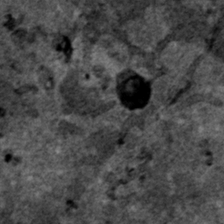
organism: Human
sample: Mitochondria in HCT116 cells